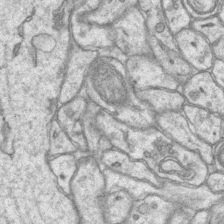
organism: Mouse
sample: CA1 Hippocampus